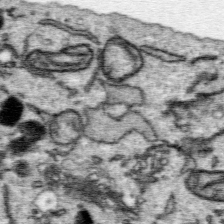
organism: Human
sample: HeLa cells